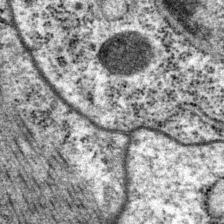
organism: P. pacificus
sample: Pharynx